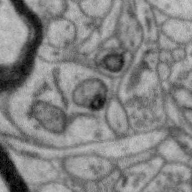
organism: Zebra finch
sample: Brain